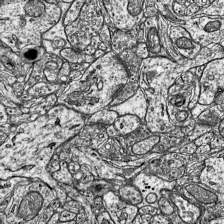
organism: Mouse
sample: Visual Cortex